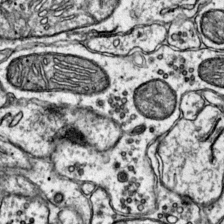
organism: Mouse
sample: Primary visual cortex